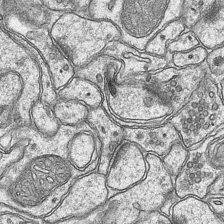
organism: Mouse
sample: CA1 Hippocampus